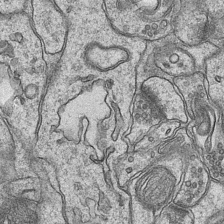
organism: Mouse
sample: CA1 Hippocampus